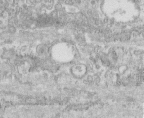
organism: Human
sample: Centriole in fibroblast cells